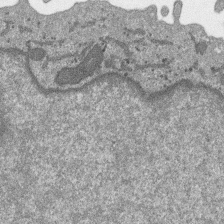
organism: Human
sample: Lung epithelial cells infected with SARS-CoV-2